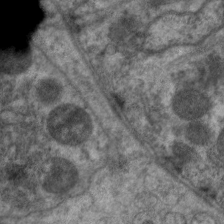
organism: C. elegans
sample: Pharynx